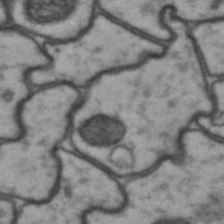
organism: Drosophila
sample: Brain